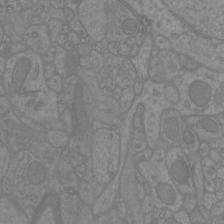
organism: Mouse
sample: Cortical neurons